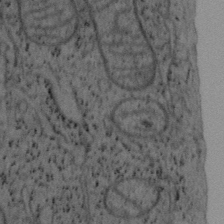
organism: Human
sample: HeLa cells